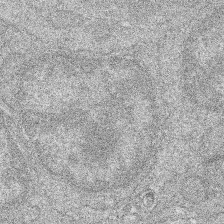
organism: Zebrafish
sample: Cilia; retinal pigment epithelium